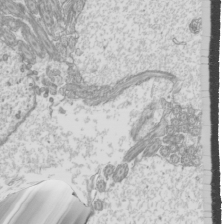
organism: Mouse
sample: Cilia; mouse epididymis